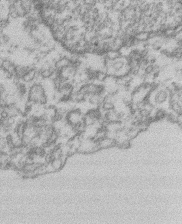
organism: Mouse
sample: T cell stromal cell synapse